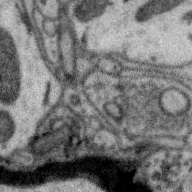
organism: Zebra finch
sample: Brain